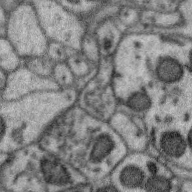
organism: Zebra finch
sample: Brain